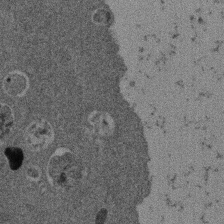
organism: Mouse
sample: Dividing mouse embryo 1 cell stage